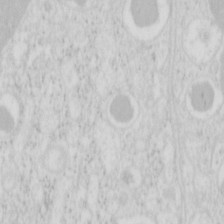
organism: Mouse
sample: Pancreas